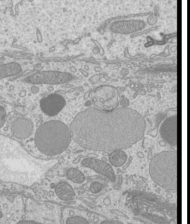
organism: Mouse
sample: Cilia; mouse epididymis